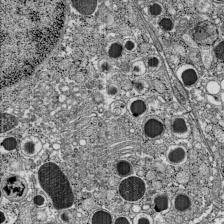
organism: C57BL Mouse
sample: Pancreatic islet